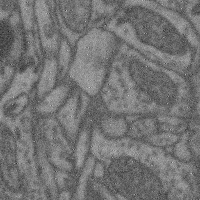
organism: Mouse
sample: Cerebral cortex